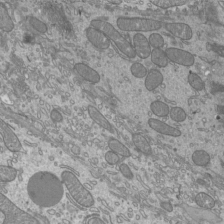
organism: Mouse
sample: Cilia; mouse epididymis